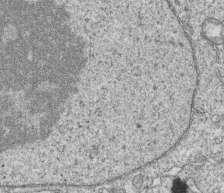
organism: Human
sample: HeLa cell HIV synapse